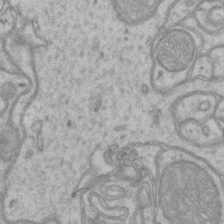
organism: Mouse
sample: CA1 Hippocampus